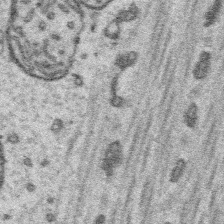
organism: Platynereis dumerilii